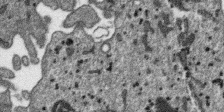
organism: Human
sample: Lung epithelial cells infected with SARS-CoV-2